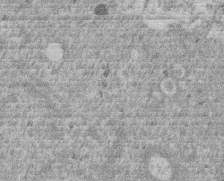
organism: Mouse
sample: Dividing mouse embryo 1 cell stage